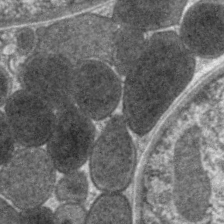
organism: C. elegans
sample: Pharynx